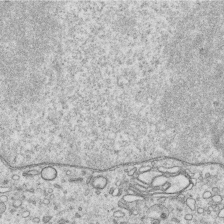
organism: Human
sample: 1205lu cells